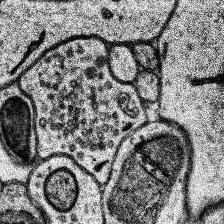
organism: Human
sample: Temporal Lobe